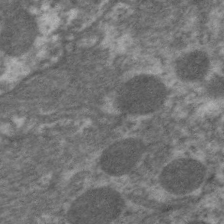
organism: C. elegans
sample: Pharynx